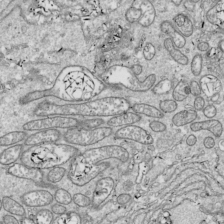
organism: Drosophila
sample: Cell division; meiosis; drosophila spermatocytes